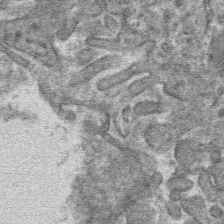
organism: Mouse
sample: Mouse hepatocytes